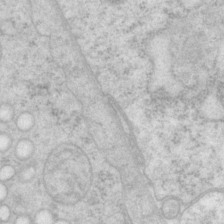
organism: P. pacificus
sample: Pharynx